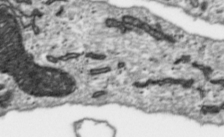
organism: Toxoplasma gondii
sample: Parasites in a vacuole inside a host cell